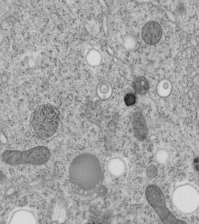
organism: C. elegans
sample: C. elegans embryo early stage